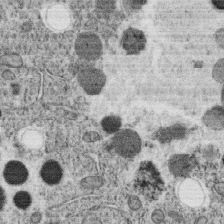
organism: C. elegans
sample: C. elegans oocyte; sperm cells